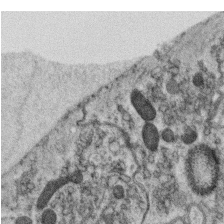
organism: C. elegans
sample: C. elegans oocyte; sperm cells